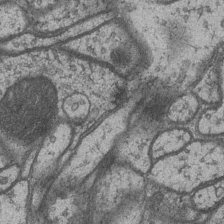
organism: Drosophila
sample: Optic medulla